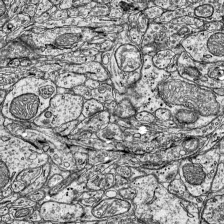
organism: Mouse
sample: Visual Cortex